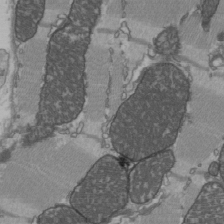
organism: C57BL Mouse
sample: Heart